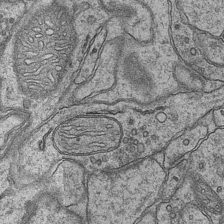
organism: Mouse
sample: CA1 Hippocampus